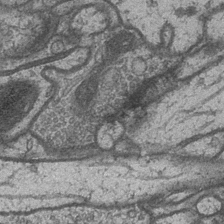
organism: Drosophila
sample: Optic medulla